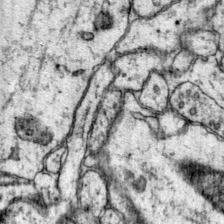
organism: Mouse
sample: Primary visual cortex